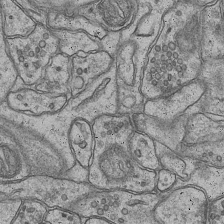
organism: Mouse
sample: CA1 Hippocampus